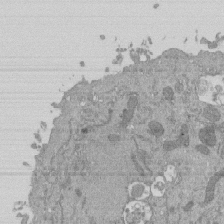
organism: Mouse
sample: ED-1 cell nuclei; centrioles